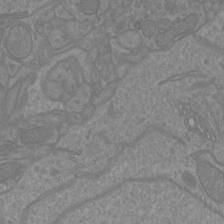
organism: Mouse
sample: Cortical neurons